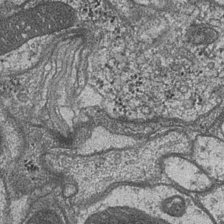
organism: Drosophila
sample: Optic medulla